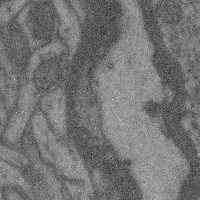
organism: Mouse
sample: Cerebral cortex